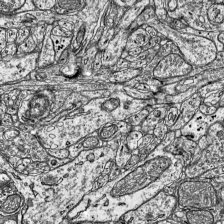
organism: Mouse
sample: Visual Cortex